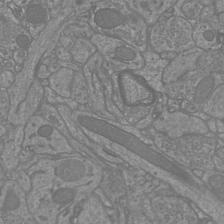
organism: Mouse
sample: Cortical neurons